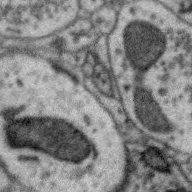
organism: Zebra finch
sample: Brain